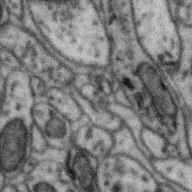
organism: Zebra finch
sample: Brain